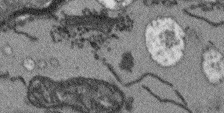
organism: Arabidopsis thaliana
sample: Root tip